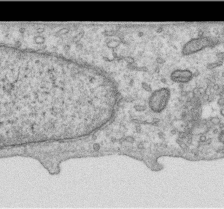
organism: Human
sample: Centriole in RPE cells